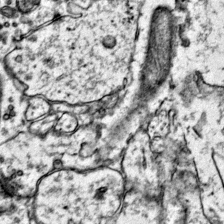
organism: Mouse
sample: Primary visual cortex